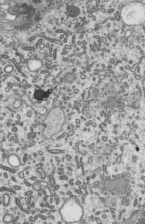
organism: Mouse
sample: Mouse epididymis efferent ductule cilia